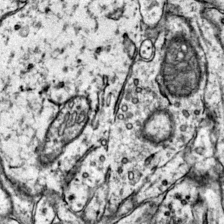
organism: Mouse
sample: Primary visual cortex